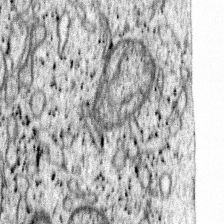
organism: Human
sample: HeLa cells